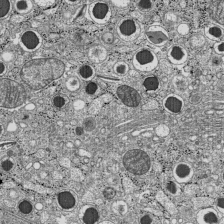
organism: C57BL Mouse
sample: Pancreatic islet